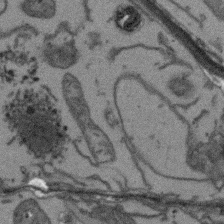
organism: Arabidopsis thaliana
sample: Root tip